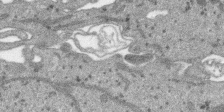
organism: Human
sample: Lung epithelial cells infected with SARS-CoV-2